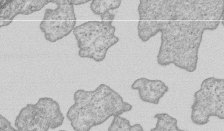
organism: Human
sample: MDA-MB-231 cells